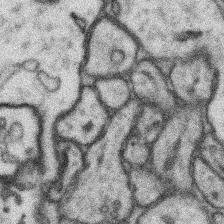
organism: Mouse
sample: Somatosensory cortex neuropil